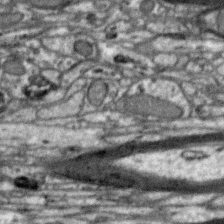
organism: Zebra finch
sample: Brain